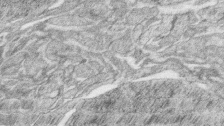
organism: Zebrafish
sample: synaptic ribbons in rod cells and cone cells